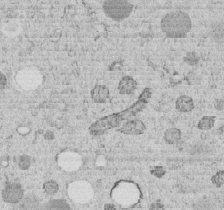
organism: C. elegans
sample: C. elegans embryo early stage